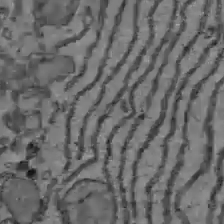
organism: C57BL Mouse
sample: Liver